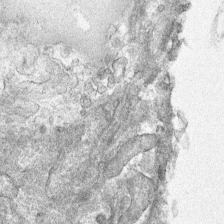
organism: Mouse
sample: Mouse hepatocytes